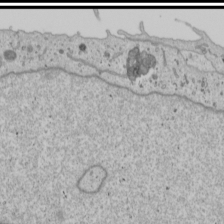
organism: Human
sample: Mitochondria in U2OS cells